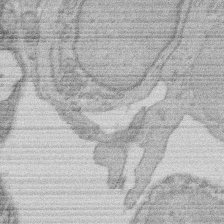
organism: Rat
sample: Salivary granule